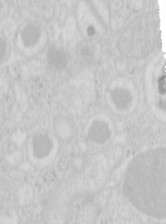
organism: Mouse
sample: Pancreas